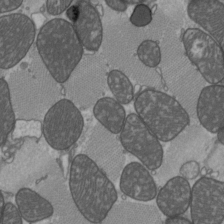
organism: C57BL Mouse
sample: Heart